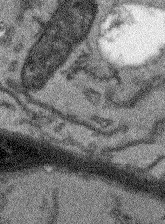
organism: Arabidopsis thaliana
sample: Root tip